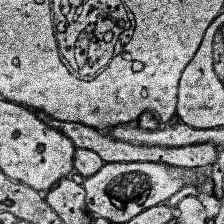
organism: Human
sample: Temporal Lobe